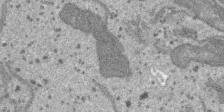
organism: Human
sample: Lung epithelial cells infected with SARS-CoV-2